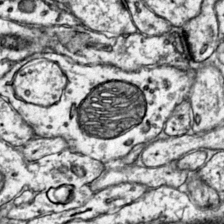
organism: Mouse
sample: Primary visual cortex